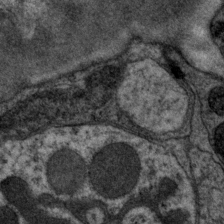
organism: P. pacificus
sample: Pharynx